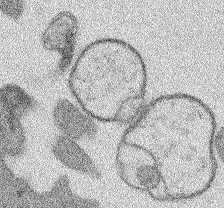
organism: Human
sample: HeLa cells